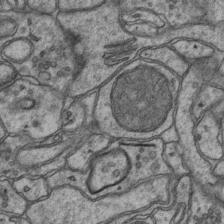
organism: Mouse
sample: CA1 Hippocampus